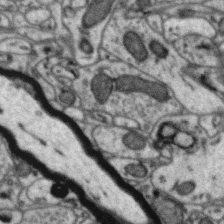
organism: Zebra finch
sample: Brain